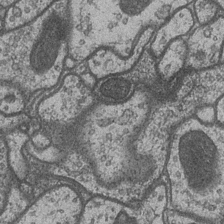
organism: Drosophila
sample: Optic medulla